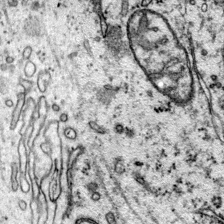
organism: Mouse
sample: Primary visual cortex